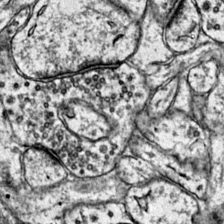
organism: Mouse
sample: Primary visual cortex